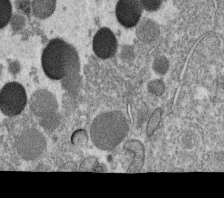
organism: C. elegans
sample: C. elegans oocyte; sperm cells